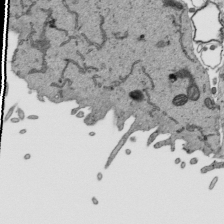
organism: Human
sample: Mitochondria in HCT116 cells